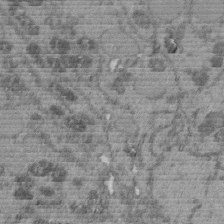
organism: C. elegans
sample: C. elegans embryo early stage